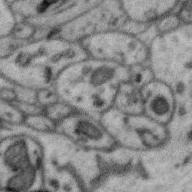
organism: Zebra finch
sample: Brain